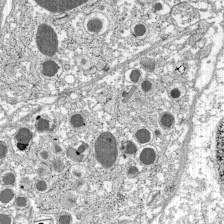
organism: C57BL Mouse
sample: Pancreatic islet